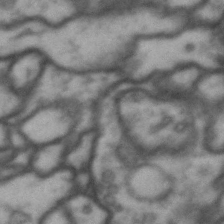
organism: Drosophila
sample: Brain